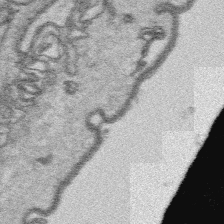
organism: Platynereis dumerilii